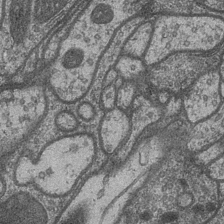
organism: Drosophila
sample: Optic medulla